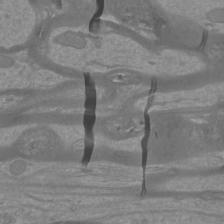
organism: Mouse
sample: Cortical neurons